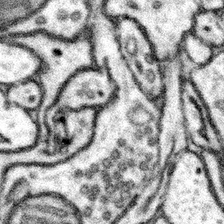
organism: Mouse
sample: Somatosensory cortex neuropil